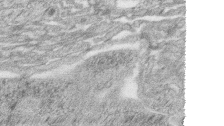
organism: Zebrafish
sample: synaptic ribbons in rod cells and cone cells